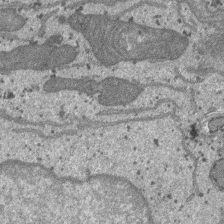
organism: Human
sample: Lung epithelial cells infected with SARS-CoV-2